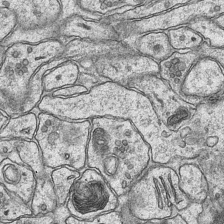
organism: Mouse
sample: CA1 Hippocampus